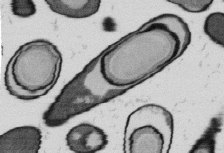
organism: B. subtilis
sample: Bacterial spore